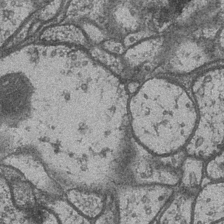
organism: Drosophila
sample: Optic medulla